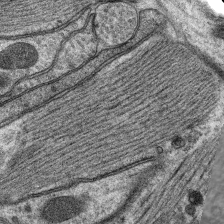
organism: C. elegans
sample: Pharynx